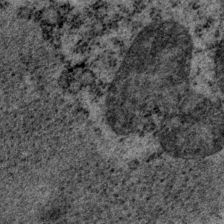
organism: P. pacificus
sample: Pharynx